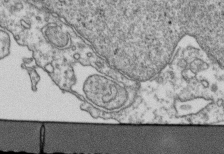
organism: Human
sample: Activated Jurkat CD4+ T cells